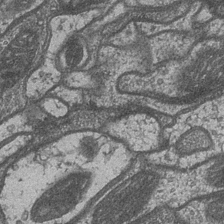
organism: Drosophila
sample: Optic medulla